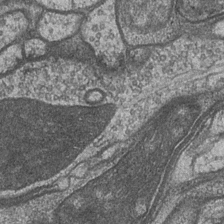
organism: Drosophila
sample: Optic medulla